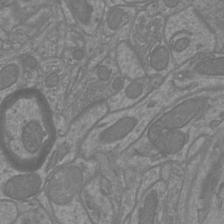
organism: Mouse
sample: Cortical neurons